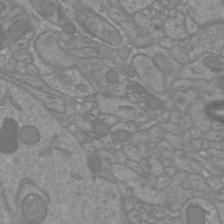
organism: Mouse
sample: Cortical neurons